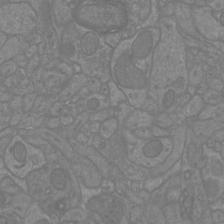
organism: Mouse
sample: Cortical neurons